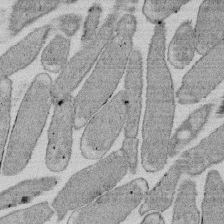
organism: E. coli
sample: Bacterial nucleoid